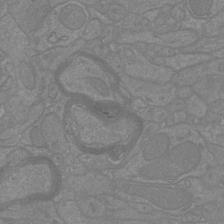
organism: Mouse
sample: Cortical neurons